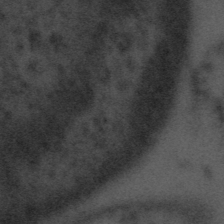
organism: Tuwongella immobilis